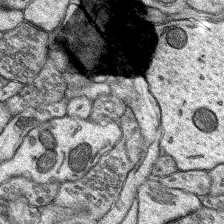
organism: Rat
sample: Hippocampus